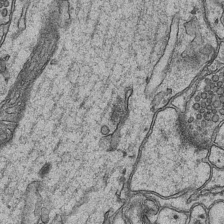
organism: Mouse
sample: CA1 Hippocampus